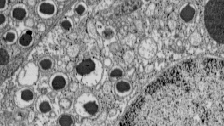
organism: C57BL Mouse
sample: Pancreatic islet